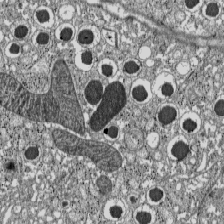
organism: C57BL Mouse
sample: Pancreatic islet